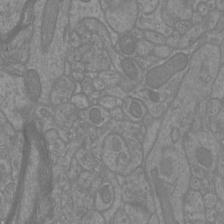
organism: Mouse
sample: Cortical neurons